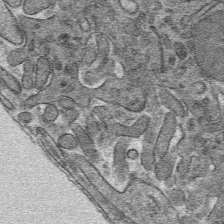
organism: Mouse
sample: Mouse hepatocytes